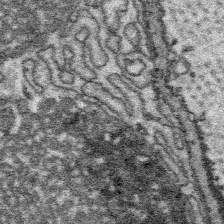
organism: Platynereis dumerilii